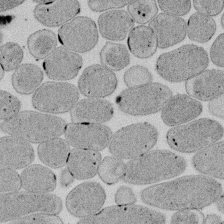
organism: E. coli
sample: Bacterial nucleoid